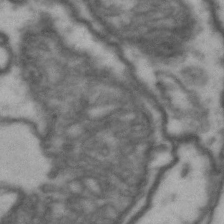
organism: Drosophila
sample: Brain